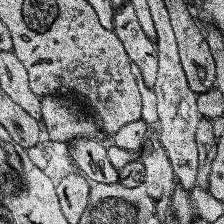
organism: Human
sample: Temporal Lobe